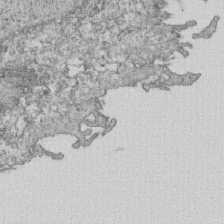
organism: Human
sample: HeLa cell HIV synapse